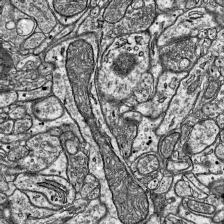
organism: Mouse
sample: Visual Cortex